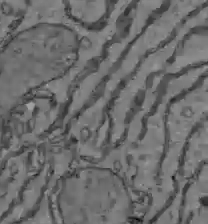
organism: C57BL Mouse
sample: Liver